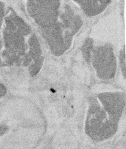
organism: Mouse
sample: T cell stromal cell synapse